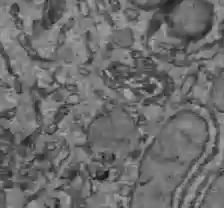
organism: C57BL Mouse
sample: Liver